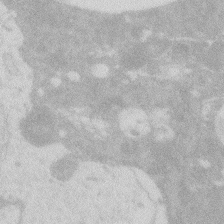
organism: Zebrafish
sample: Macrophage